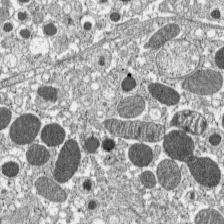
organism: C57BL Mouse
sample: Pancreatic islet